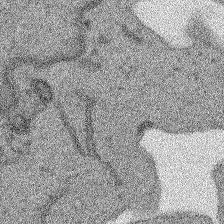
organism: Human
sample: HeLa cells